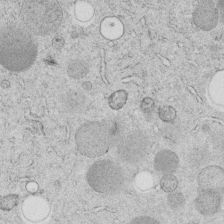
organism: C. elegans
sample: C. elegans embryo early stage